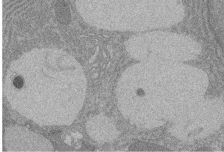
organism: Rat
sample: Salivary granule